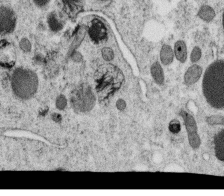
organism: C. elegans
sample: C. elegans oocyte; sperm cells